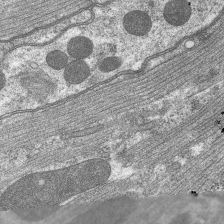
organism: C. elegans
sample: Pharynx